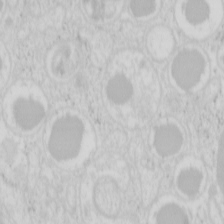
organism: Mouse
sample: Pancreas